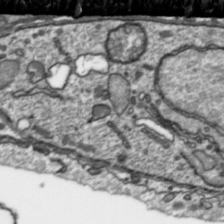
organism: Toxoplasma gondii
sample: Parasites in a vacuole inside a host cell